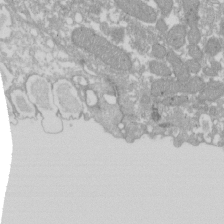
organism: Xenopus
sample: Cilia; centrioles in frog embryo cells